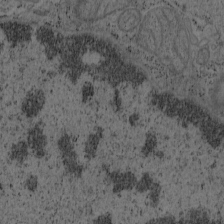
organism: Mouse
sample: OT-I killer T cells with ID8 ovarian cancer cells